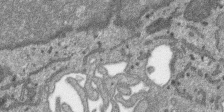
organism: Human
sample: Lung epithelial cells infected with SARS-CoV-2